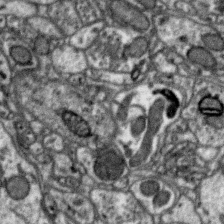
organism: Zebra finch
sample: Brain